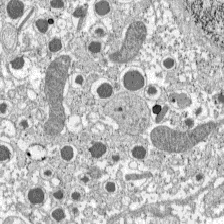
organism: C57BL Mouse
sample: Pancreatic islet